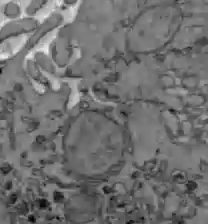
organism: C57BL Mouse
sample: Liver